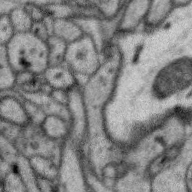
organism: Zebra finch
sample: Brain